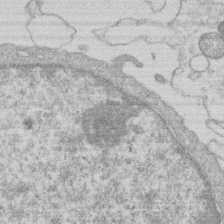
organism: Human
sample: Macrophage cells